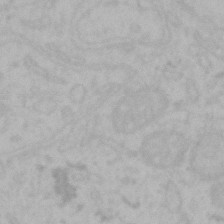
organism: Mouse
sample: Choroid plexus